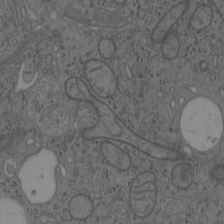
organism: Mouse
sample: OT-I killer T cells with ID8 ovarian cancer cells